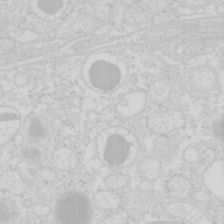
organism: Mouse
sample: Pancreas